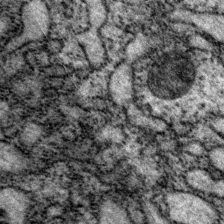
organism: P. pacificus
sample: Pharynx